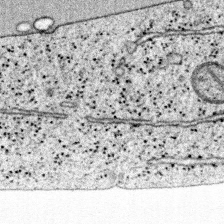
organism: Human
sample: HeLa cells